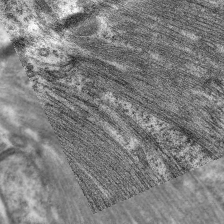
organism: C. elegans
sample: Pharynx